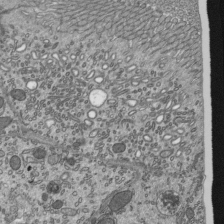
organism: Mouse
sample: Mouse epididymis efferent ductule cilia